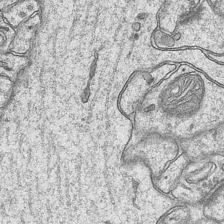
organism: Mouse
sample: CA1 Hippocampus